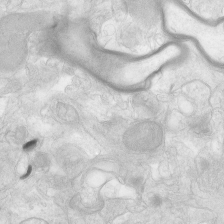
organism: Human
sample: Neocortex